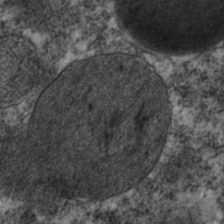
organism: C. elegans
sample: C. elegans embryo